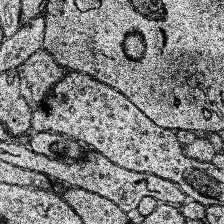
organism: Human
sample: Temporal Lobe